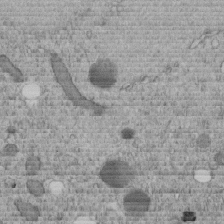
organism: C. elegans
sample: C. elegans embryo early stage